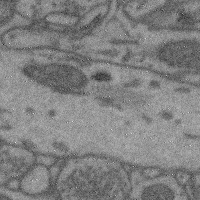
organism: Mouse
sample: Cerebral cortex